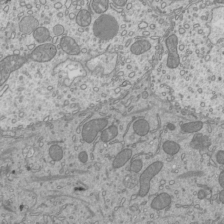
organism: Mouse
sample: Cilia; mouse epididymis